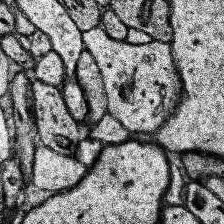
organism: Human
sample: Temporal Lobe